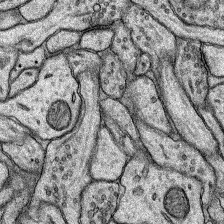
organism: Rat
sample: Hippocampus